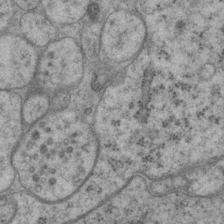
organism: P. pacificus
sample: Pharynx